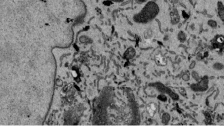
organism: Mouse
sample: ED-1 cell nuclei; centrioles